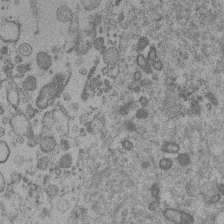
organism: Mouse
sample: Dividing mouse embryo 1 cell stage